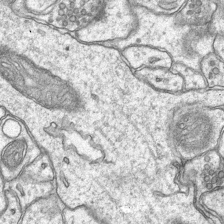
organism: Mouse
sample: CA1 Hippocampus